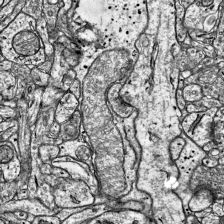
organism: Mouse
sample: Visual Cortex